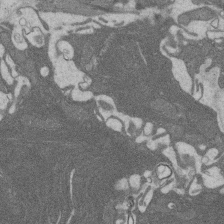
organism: Rat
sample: Salivary granule